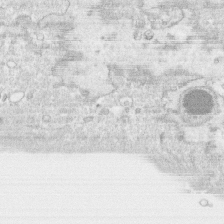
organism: Human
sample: CRL-1474